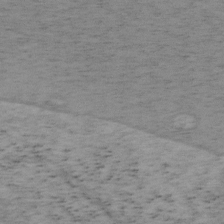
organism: Mouse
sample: OT-I killer T cells with ID8 ovarian cancer cells